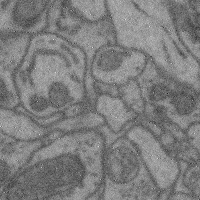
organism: Mouse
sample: Cerebral cortex